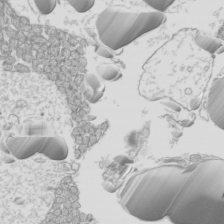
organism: Mouse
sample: Cilia; mouse epididymis